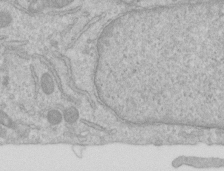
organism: Human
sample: Centriole in RPE cells